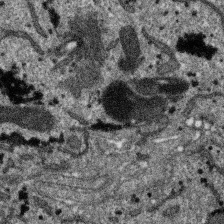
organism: Human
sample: Lung epithelial cells infected with SARS-CoV-2